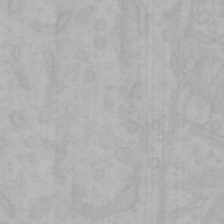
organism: Mouse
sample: Choroid plexus